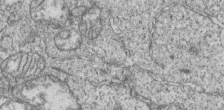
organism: Human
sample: HeLa cell HIV synapse